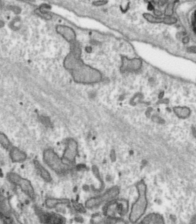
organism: Toxoplasma gondii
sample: Parasites in a vacuole inside a host cell